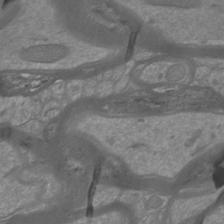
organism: Mouse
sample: Cortical neurons